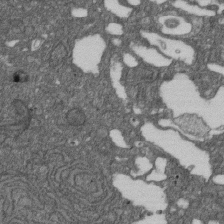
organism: Drosophila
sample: Nephrocyte